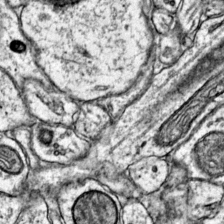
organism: Mouse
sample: Primary visual cortex